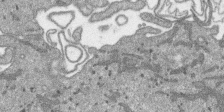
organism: Human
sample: Lung epithelial cells infected with SARS-CoV-2